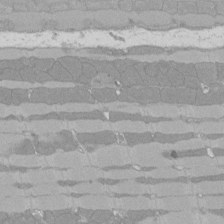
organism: Rat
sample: Left ventricle